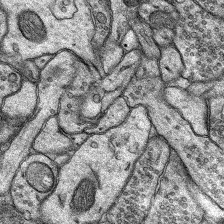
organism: Rat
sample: Hippocampus